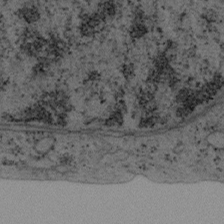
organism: Human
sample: HeLa cells